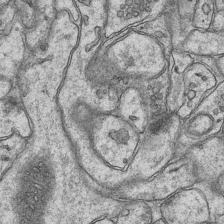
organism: Mouse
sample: CA1 Hippocampus